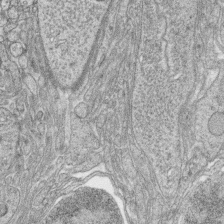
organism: Zebrafish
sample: synaptic ribbons in rod cells and cone cells